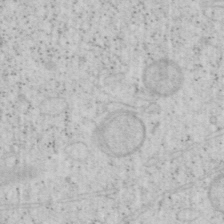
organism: Human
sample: HeLa cells